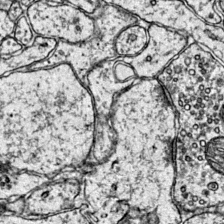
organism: Mouse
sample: Primary visual cortex